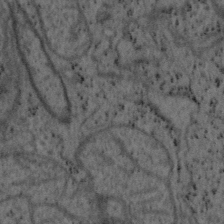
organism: Human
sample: HeLa cells